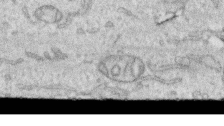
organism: Human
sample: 1205lu cells